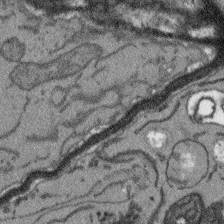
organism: Arabidopsis thaliana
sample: Root tip